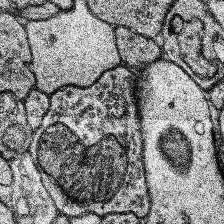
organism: Human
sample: Temporal Lobe